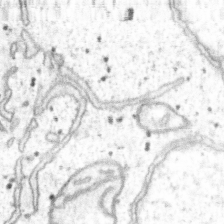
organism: Human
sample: HeLa cells